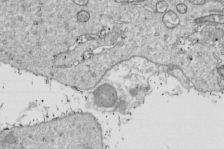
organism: Drosophila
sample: Cell division; meiosis; drosophila spermatocytes